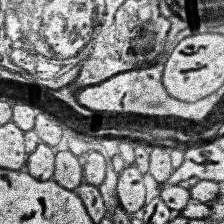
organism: Human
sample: Temporal Lobe